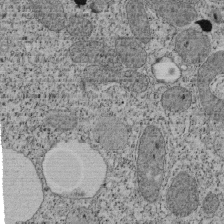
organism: Tetrahymena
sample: Cilia in tetrahymena